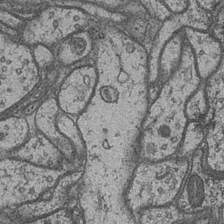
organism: Drosophila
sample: Optic medulla